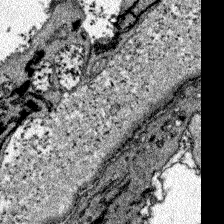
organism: Zebrafish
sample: Larval olfactory bulb